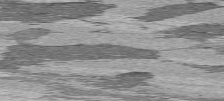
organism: C57BL Mouse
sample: Heart